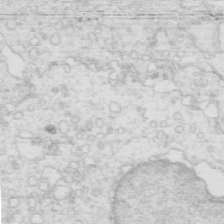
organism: Mouse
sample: Multiciliated cells